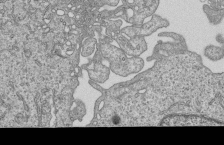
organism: Human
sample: MDA-MB-231 cells